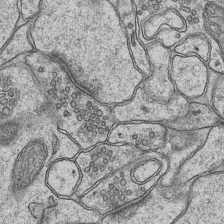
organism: Mouse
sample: CA1 Hippocampus